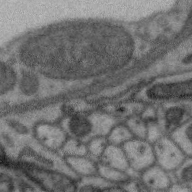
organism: Zebra finch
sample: Brain